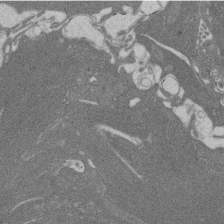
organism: Rat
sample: Salivary granule